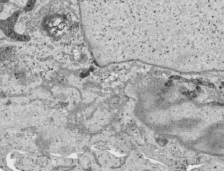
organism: Human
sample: Mitochondria in HCT116 cells